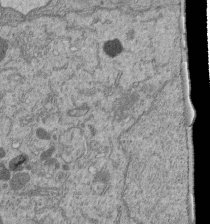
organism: Human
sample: Retinal organoid Rod and Cone cells